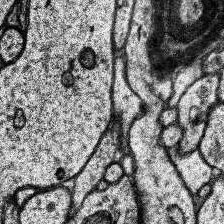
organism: Human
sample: Temporal Lobe